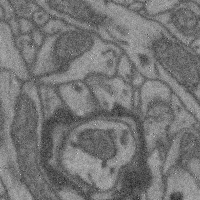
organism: Mouse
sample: Cerebral cortex